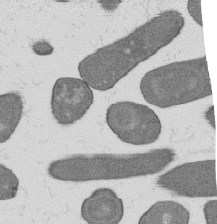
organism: B. subtilis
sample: Bacterial spore